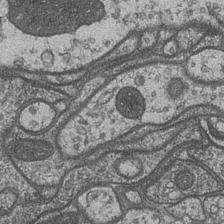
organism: Drosophila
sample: Optic medulla